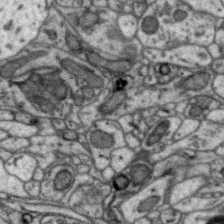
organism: Zebra finch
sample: Brain